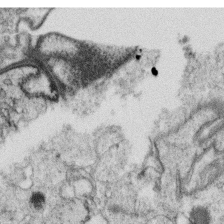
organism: C. elegans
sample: C. elegans oocyte; sperm cells